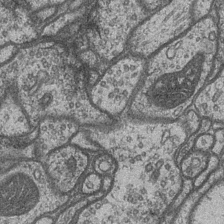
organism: Drosophila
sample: Optic medulla